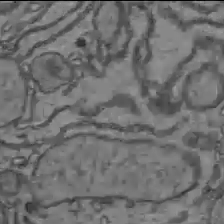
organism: C57BL Mouse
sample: Liver